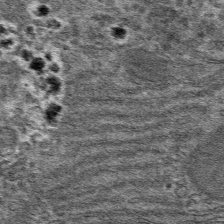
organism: Mouse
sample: Mouse hepatocytes